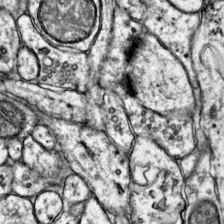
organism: Mouse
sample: Primary visual cortex